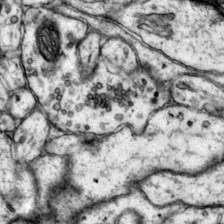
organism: Mouse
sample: Primary visual cortex